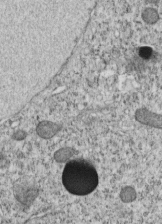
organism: C. elegans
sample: C. elegans embryo early stage